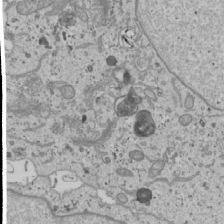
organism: Human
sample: Mitochondria in U2OS cells